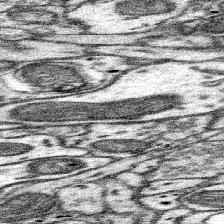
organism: Mouse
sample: Somatosensory cortex neuropil